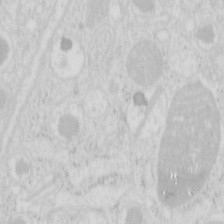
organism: Mouse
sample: Pancreas